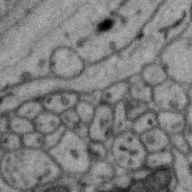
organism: Zebra finch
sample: Brain